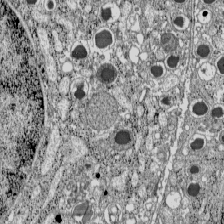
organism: C57BL Mouse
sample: Pancreatic islet